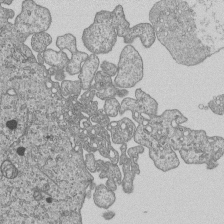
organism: Human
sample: MDA-MB-231 cells